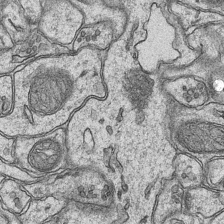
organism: Mouse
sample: CA1 Hippocampus